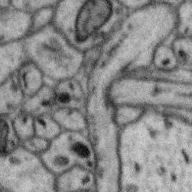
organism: Zebra finch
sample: Brain